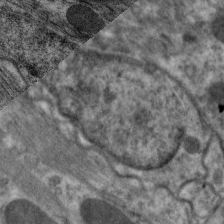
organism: C. elegans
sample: Pharynx